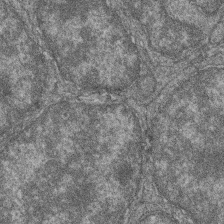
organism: Zebrafish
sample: Cilia; retinal pigment epithelium